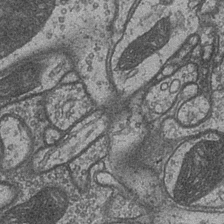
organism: Drosophila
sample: Optic medulla